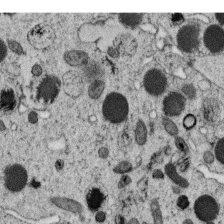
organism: C. elegans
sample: C. elegans oocyte; sperm cells